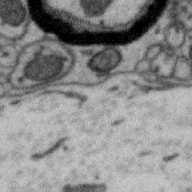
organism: Zebra finch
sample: Brain